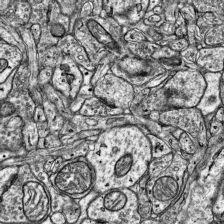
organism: Mouse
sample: Visual Cortex